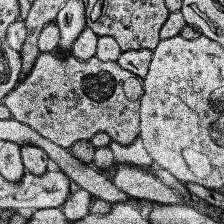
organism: Human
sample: Temporal Lobe